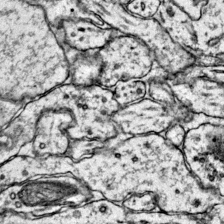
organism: Mouse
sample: Primary visual cortex